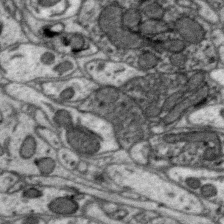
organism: Zebra finch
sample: Brain